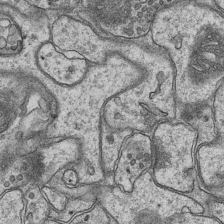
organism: Mouse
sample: CA1 Hippocampus